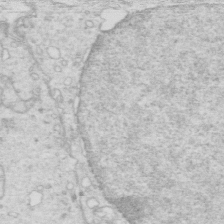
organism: Mouse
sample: Multiciliated cells